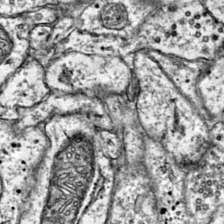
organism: Mouse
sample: Primary visual cortex